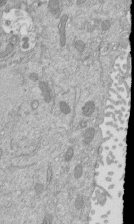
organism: Mouse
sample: ED-1 cell nuclei; centrioles